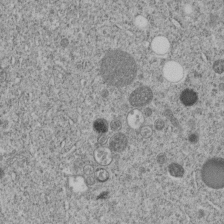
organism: C. elegans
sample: C. elegans embryo early stage